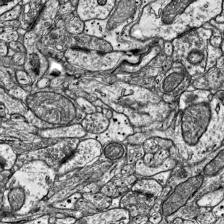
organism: Mouse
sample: Visual Cortex